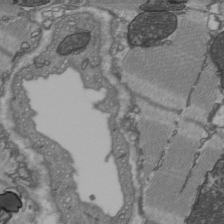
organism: C57BL Mouse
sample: Heart